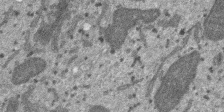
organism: Human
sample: Lung epithelial cells infected with SARS-CoV-2